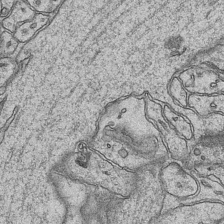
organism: Mouse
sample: CA1 Hippocampus